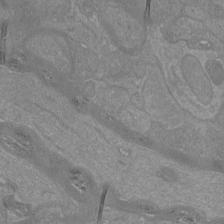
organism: Mouse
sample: Cortical neurons